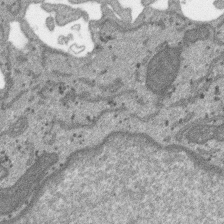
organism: Human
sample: Lung epithelial cells infected with SARS-CoV-2